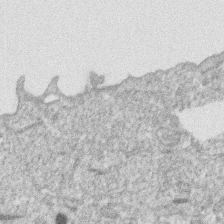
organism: Human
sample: HeLa cell HIV synapse